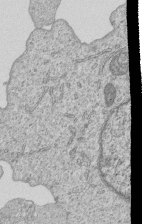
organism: Human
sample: MDA-MB-231 cells